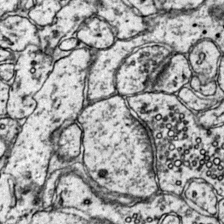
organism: Mouse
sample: Primary visual cortex